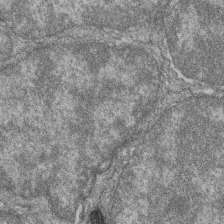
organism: Zebrafish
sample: Cilia; retinal pigment epithelium